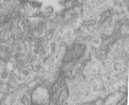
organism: Human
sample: Centriole in RPE cells